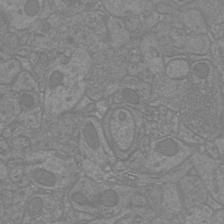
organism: Mouse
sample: Cortical neurons